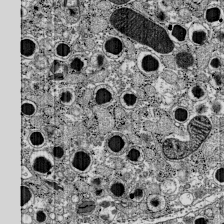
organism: C57BL Mouse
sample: Pancreatic islet